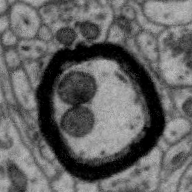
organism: Zebra finch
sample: Brain